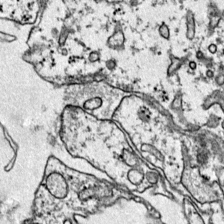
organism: Mouse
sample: Primary visual cortex